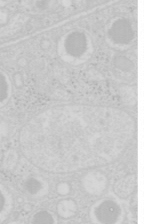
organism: Mouse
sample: Pancreas